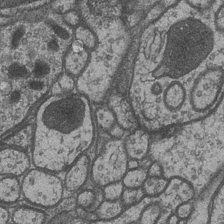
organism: Drosophila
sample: Optic medulla